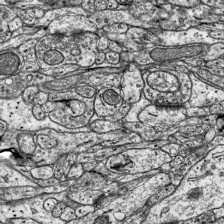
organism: Mouse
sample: Visual Cortex